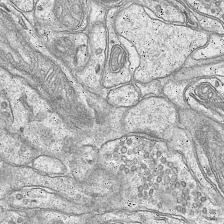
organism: Mouse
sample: CA1 Hippocampus